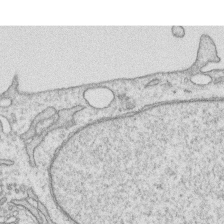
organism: Human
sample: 1205lu cells